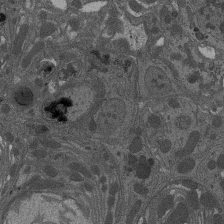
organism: Drosophila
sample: Antenna